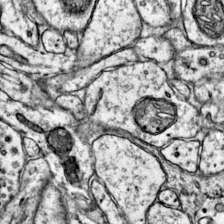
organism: Mouse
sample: Primary visual cortex